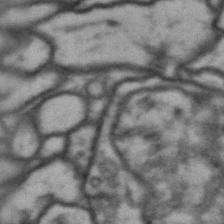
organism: Drosophila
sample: Brain